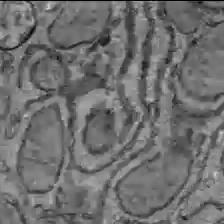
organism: C57BL Mouse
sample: Liver